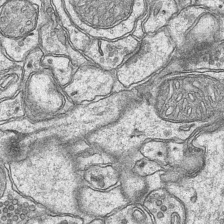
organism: Mouse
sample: CA1 Hippocampus